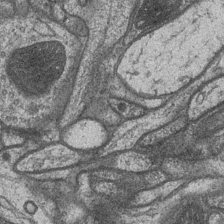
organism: Drosophila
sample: Optic medulla